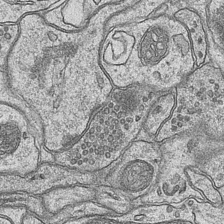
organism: Mouse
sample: CA1 Hippocampus